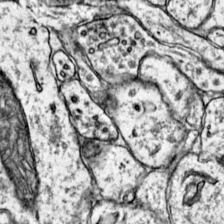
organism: Mouse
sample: Primary visual cortex